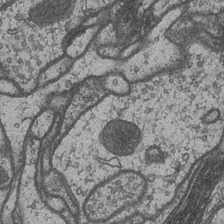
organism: Drosophila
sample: Optic medulla